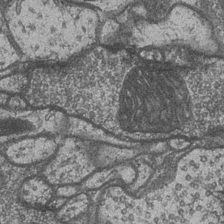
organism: Drosophila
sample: Optic medulla